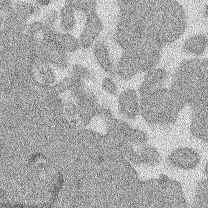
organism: Human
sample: HeLa cells